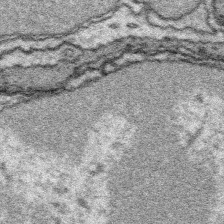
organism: Platynereis dumerilii